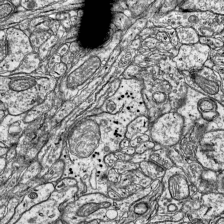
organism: Mouse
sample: Visual Cortex